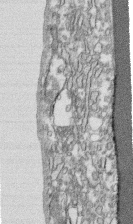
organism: Human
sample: CRL-1474